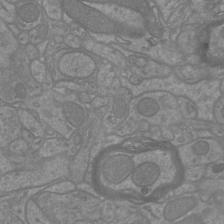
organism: Mouse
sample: Cortical neurons